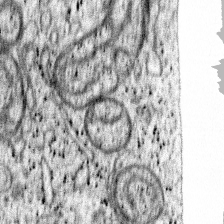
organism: Human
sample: HeLa cells